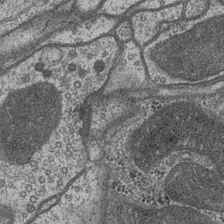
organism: Drosophila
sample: Optic medulla